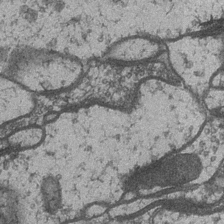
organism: Drosophila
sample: Optic medulla